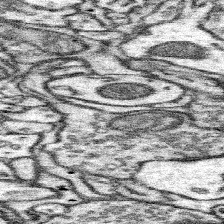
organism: Mouse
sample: Somatosensory cortex neuropil